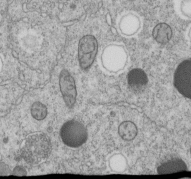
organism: C. elegans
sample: C. elegans embryo early stage